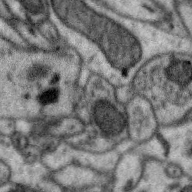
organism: Zebra finch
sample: Brain